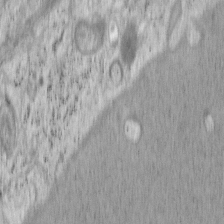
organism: Human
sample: HeLa cells